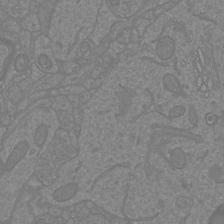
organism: Mouse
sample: Cortical neurons